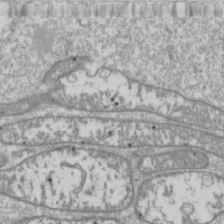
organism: Drosophila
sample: Cell division; meiosis; drosophila spermatocytes